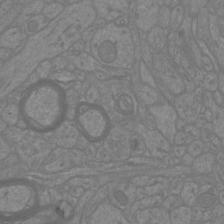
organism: Mouse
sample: Cortical neurons